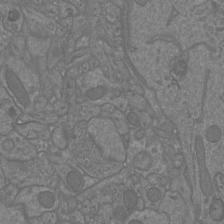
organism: Mouse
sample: Cortical neurons